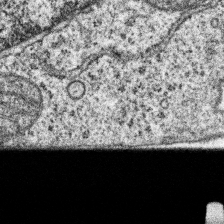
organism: Human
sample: HeLa cells